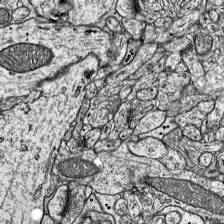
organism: Mouse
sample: Visual Cortex